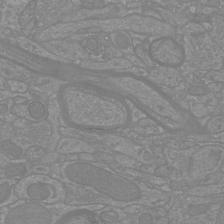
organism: Mouse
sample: Cortical neurons